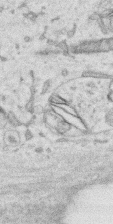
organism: Human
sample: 1205lu cells